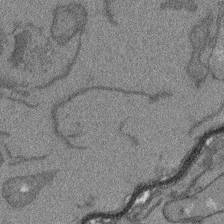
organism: Arabidopsis thaliana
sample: Root tip